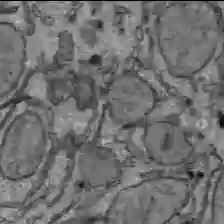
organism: C57BL Mouse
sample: Liver